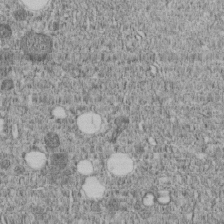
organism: C. elegans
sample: C. elegans embryo early stage